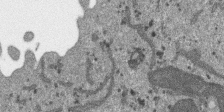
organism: Human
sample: Lung epithelial cells infected with SARS-CoV-2